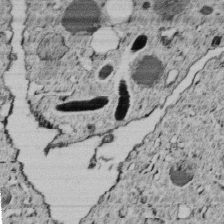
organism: C. elegans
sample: C. elegans embryo early stage